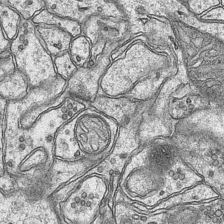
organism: Mouse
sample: CA1 Hippocampus